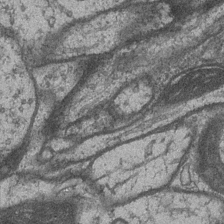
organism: Drosophila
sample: Optic medulla